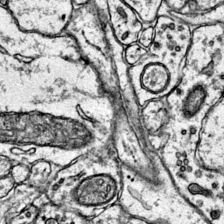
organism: Mouse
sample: Primary visual cortex